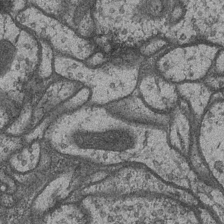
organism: Drosophila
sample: Optic medulla